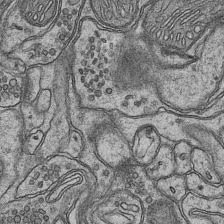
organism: Mouse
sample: CA1 Hippocampus